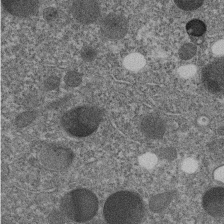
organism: C. elegans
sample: C. elegans embryo early stage